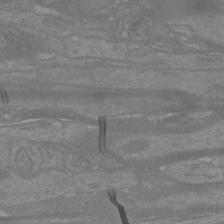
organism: Mouse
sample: Cortical neurons